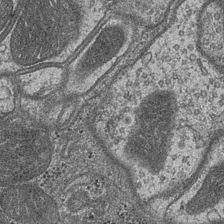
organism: Drosophila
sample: Optic medulla